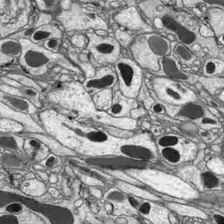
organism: Drosophila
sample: Optic lobe